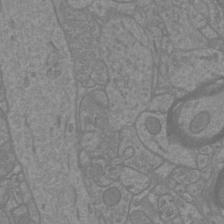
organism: Mouse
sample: Cortical neurons